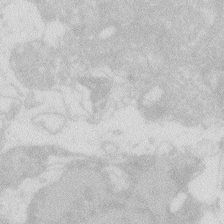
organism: Zebrafish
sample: Macrophage